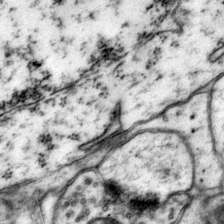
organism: Mouse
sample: Primary visual cortex